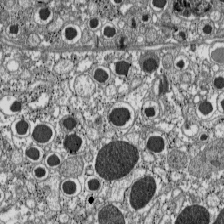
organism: C57BL Mouse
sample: Pancreatic islet